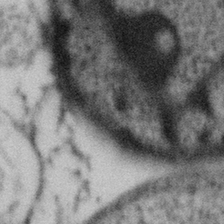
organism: Gemmata obscuriglobus